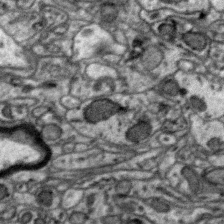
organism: Zebra finch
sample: Brain